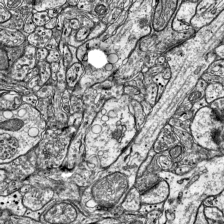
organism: Mouse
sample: Visual Cortex